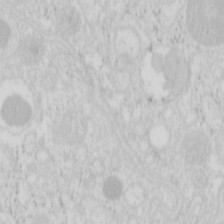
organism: Mouse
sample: Pancreas